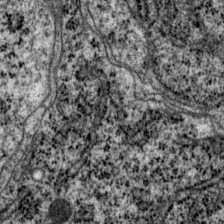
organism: P. pacificus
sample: Pharynx